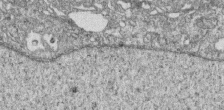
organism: Human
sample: HeLa cell HIV synapse